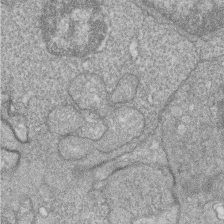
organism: Zebrafish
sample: Cilia; retinal pigment epithelium